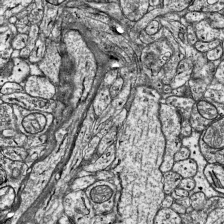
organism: Mouse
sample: Visual Cortex